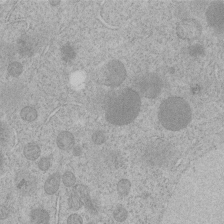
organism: C. elegans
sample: C. elegans embryo early stage